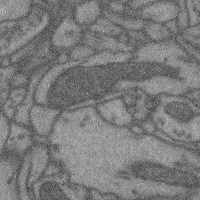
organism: Mouse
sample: Cerebral cortex